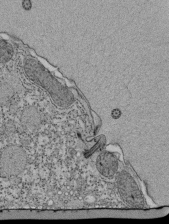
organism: Tetrahymena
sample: Cilia in tetrahymena